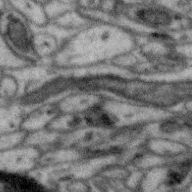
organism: Zebra finch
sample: Brain